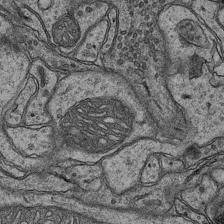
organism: Mouse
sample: CA1 Hippocampus